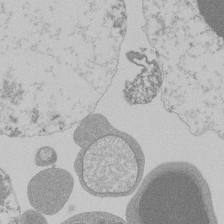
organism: Mouse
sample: Activated Pmel transgenic CD8+ T Cells